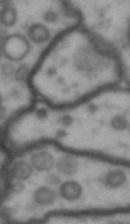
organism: Drosophila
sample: Brain